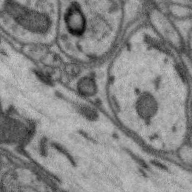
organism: Zebra finch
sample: Brain